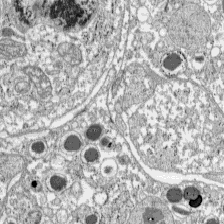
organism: C57BL Mouse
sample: Pancreatic islet